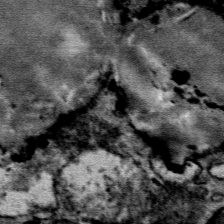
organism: Mouse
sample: Mouse Salivary gland